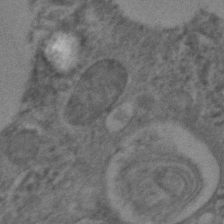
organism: C. elegans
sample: C. elegans embryo